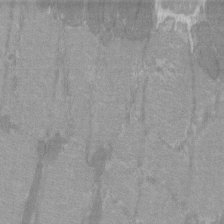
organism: C57BL Mouse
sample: Tibialis anterior muscle cell